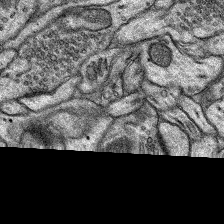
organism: Rat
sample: Hippocampus